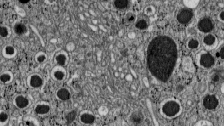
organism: C57BL Mouse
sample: Pancreatic islet